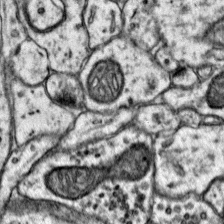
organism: Mouse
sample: Primary visual cortex